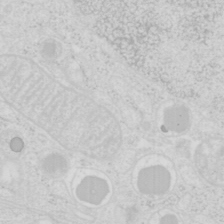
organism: Mouse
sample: Pancreas